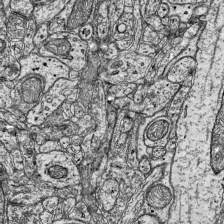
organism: Mouse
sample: Visual Cortex